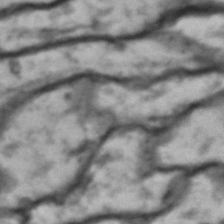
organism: Drosophila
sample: Brain